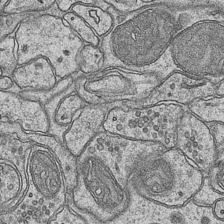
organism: Mouse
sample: CA1 Hippocampus